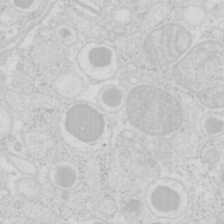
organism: Mouse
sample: Pancreas